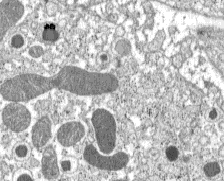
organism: C57BL Mouse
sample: Pancreatic islet